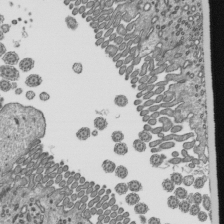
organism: Mouse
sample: Mouse epididymis efferent ductule cilia